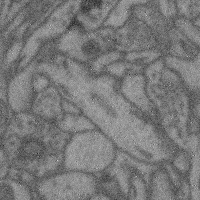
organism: Mouse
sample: Cerebral cortex